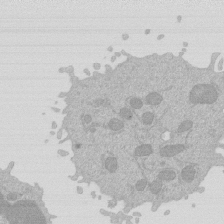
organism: Mouse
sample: Activated Pmel transgenic CD8+ T Cells